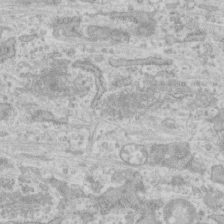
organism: Human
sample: CRL-1474